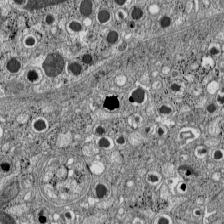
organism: C57BL Mouse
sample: Pancreatic islet